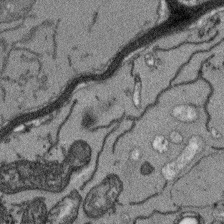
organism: Arabidopsis thaliana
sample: Root tip